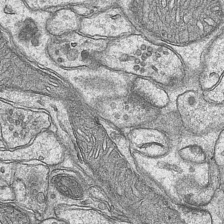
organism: Mouse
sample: CA1 Hippocampus